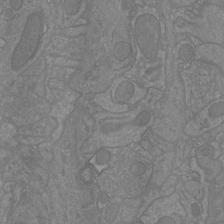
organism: Mouse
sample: Cortical neurons